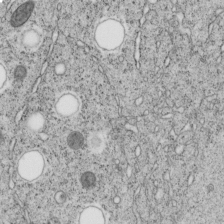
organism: C. elegans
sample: C. elegans embryo early stage